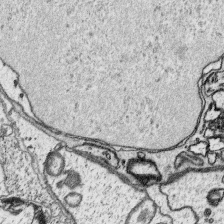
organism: Platynereis dumerilii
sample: Parapodia